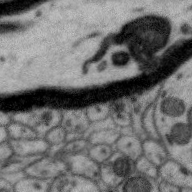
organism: Zebra finch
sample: Brain